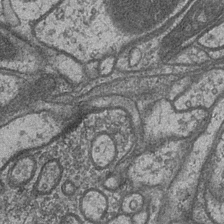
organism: Drosophila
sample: Optic medulla